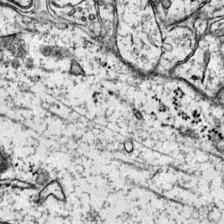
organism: Mouse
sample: Primary visual cortex